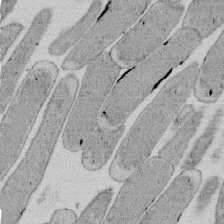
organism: E. coli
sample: Bacterial nucleoid